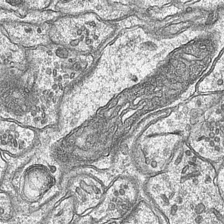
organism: Mouse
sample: CA1 Hippocampus